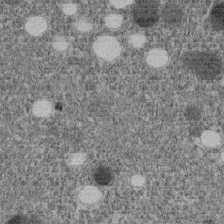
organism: C. elegans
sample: C. elegans embryo early stage